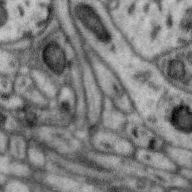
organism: Zebra finch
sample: Brain